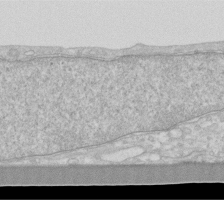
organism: Human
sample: Fibroblast cells